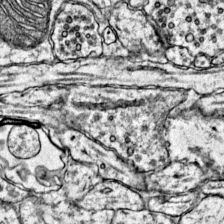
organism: Mouse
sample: Primary visual cortex